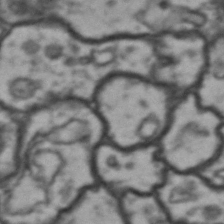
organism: Drosophila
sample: Brain